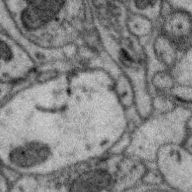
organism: Zebra finch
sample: Brain